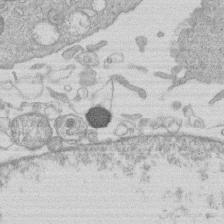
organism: Human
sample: Macrophage cells